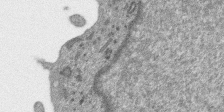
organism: Human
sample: Lung epithelial cells infected with SARS-CoV-2